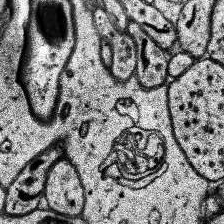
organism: Human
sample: Temporal Lobe